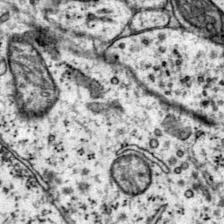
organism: Mouse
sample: Primary visual cortex